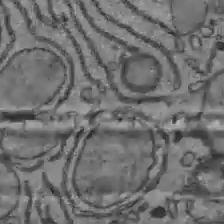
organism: C57BL Mouse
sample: Liver